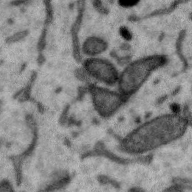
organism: Zebra finch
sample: Brain